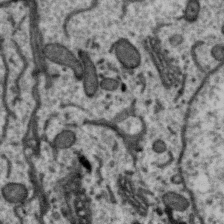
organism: Zebra finch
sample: Brain